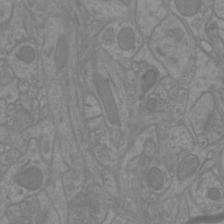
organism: Mouse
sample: Cortical neurons